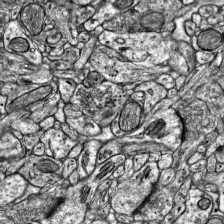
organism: Mouse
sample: Visual Cortex